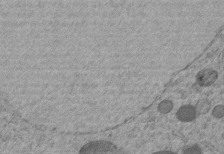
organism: C. elegans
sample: C. elegans embryo early stage